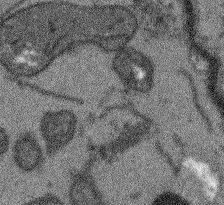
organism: Arabidopsis thaliana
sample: Root tip